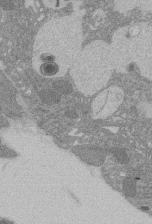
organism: Rat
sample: Salivary granule